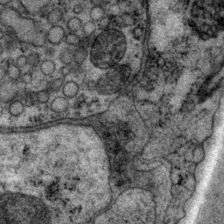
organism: P. pacificus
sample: Pharynx